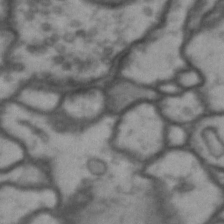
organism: Drosophila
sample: Brain